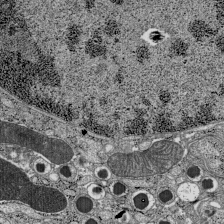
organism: C57BL Mouse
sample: Pancreatic islet